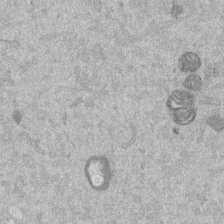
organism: Mouse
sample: Dividing mouse embryo 1 cell stage